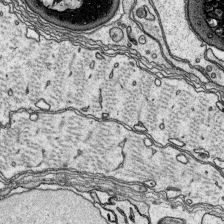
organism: Platynereis dumerilii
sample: Parapodia